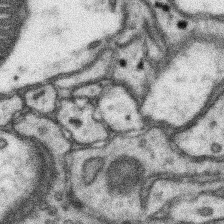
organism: Mouse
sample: Somatosensory cortex neuropil